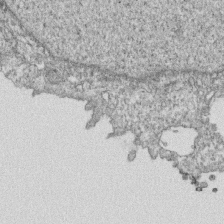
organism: Human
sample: HeLa cell HIV synapse